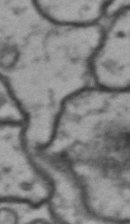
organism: Drosophila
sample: Brain